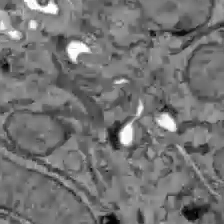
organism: C57BL Mouse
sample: Liver